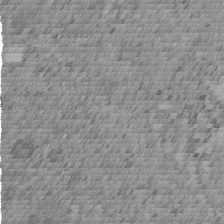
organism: C. elegans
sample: C. elegans embryo early stage